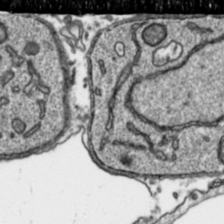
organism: Toxoplasma gondii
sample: Parasites in a vacuole inside a host cell